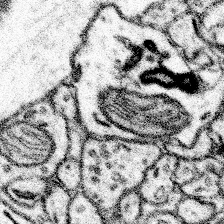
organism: Mouse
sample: Somatosensory cortex neuropil